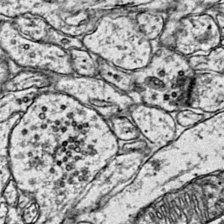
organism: Mouse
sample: Primary visual cortex